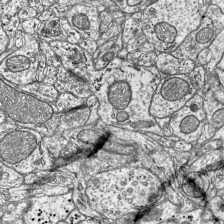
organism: Mouse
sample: Visual Cortex